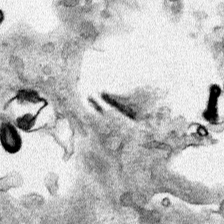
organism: Human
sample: Mitochondria in HCT116 cells